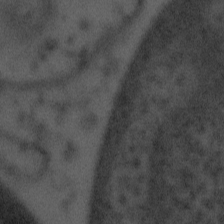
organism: Tuwongella immobilis